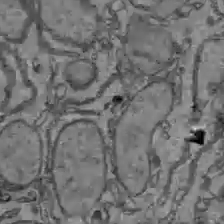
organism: C57BL Mouse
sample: Liver